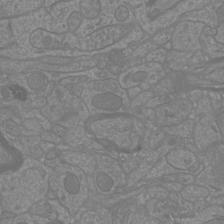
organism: Mouse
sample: Cortical neurons